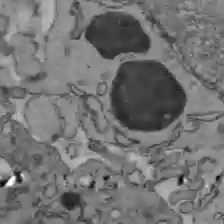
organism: C57BL Mouse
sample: Liver